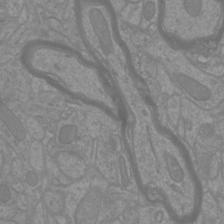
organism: Mouse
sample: Cortical neurons